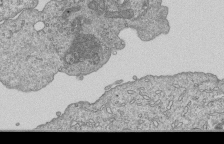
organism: Human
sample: MDA-MB-231 cells